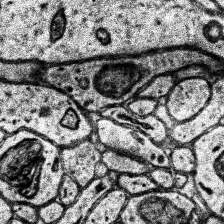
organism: Human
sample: Temporal Lobe